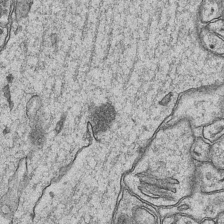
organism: Mouse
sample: CA1 Hippocampus